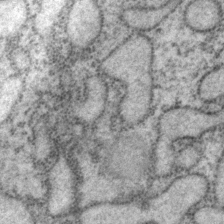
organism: P. pacificus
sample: Pharynx